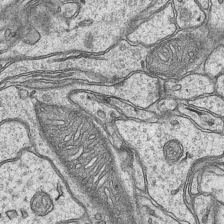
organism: Mouse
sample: CA1 Hippocampus